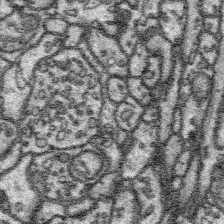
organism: Platynereis dumerilii